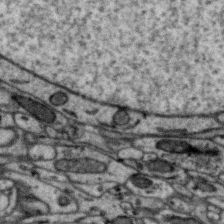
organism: Zebra finch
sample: Brain